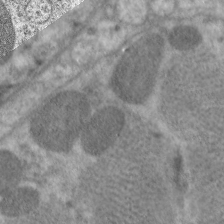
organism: C. elegans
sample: Pharynx